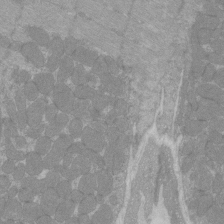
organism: C57BL Mouse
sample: Tibialis anterior muscle cell